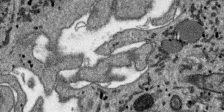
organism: Human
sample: Lung epithelial cells, uninfected (mock) control